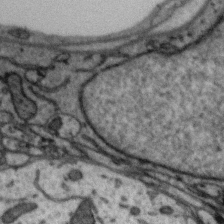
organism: Zebra finch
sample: Brain